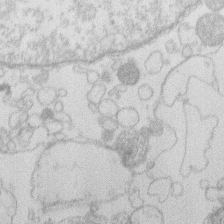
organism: Human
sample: Macrophage cells